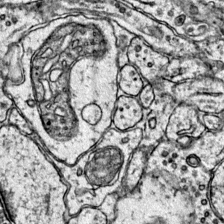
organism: Mouse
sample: Primary visual cortex